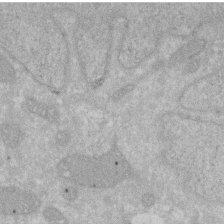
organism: Human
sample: HIV infected U937 cells